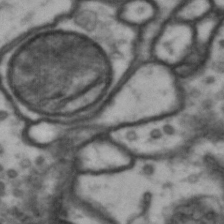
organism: Drosophila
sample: Brain